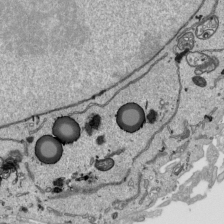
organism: Human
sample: Mitochondria in HCT116 cells